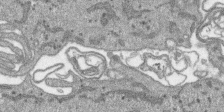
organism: Human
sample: Lung epithelial cells infected with SARS-CoV-2